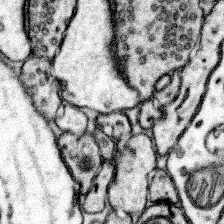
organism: Mouse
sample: Somatosensory cortex neuropil